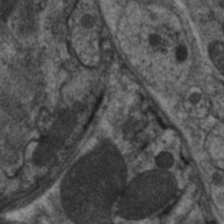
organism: C. elegans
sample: Pharynx